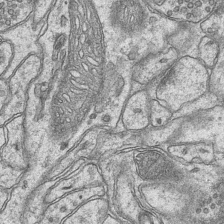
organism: Mouse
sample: CA1 Hippocampus